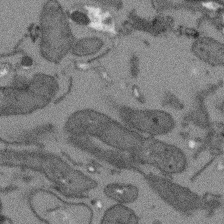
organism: Arabidopsis thaliana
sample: Root tip